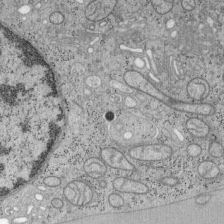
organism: Mouse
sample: OT-I killer T cells with ID8 ovarian cancer cells